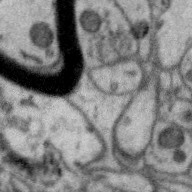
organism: Zebra finch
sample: Brain